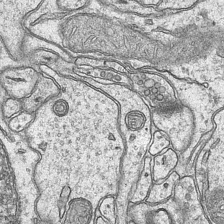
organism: Mouse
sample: CA1 Hippocampus